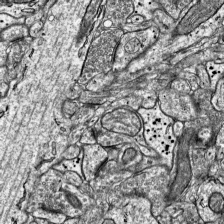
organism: Mouse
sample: Visual Cortex